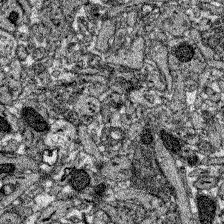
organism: Zebrafish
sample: Larval olfactory bulb